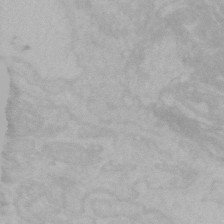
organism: Mouse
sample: Choroid plexus